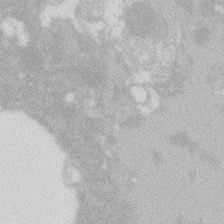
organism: Zebrafish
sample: Macrophage